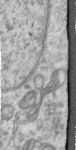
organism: Human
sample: Centriole in RPE cells